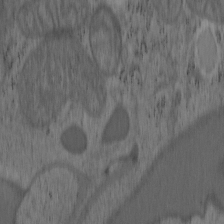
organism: Human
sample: HeLa cells